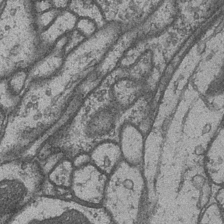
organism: Drosophila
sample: Optic medulla